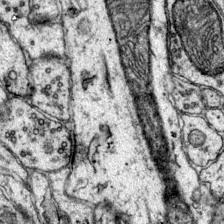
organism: Mouse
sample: Primary visual cortex